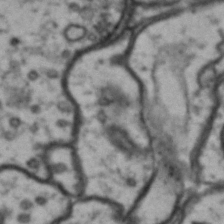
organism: Drosophila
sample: Brain